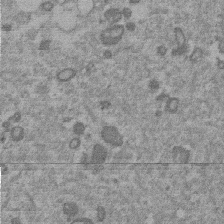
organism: Mouse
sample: Dividing mouse embryo 1 cell stage